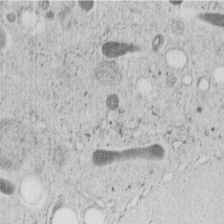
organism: C. elegans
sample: C. elegans embryo early stage